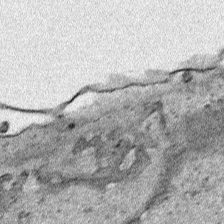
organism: Human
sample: Mitochondria in HCT116 cells